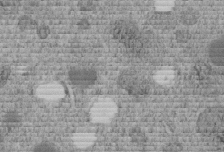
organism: C. elegans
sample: C. elegans embryo early stage